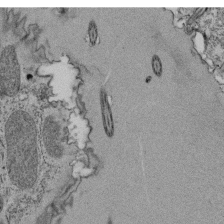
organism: Tetrahymena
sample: Cilia in tetrahymena